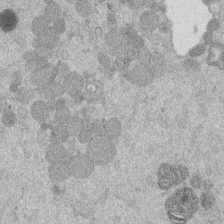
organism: Mouse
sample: Dividing mouse embryo 1 cell stage